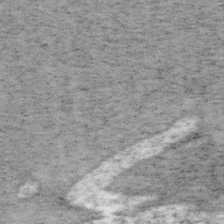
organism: Mouse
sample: OT-I killer T cells with ID8 ovarian cancer cells